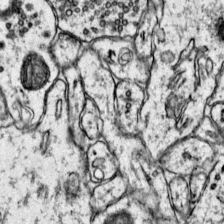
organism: Mouse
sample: Primary visual cortex